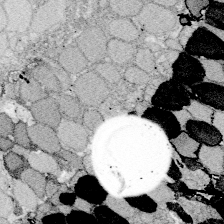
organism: Zebrafish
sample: Whole-Brain